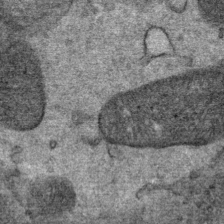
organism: Mouse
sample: Mouse Salivary gland